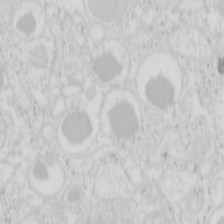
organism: Mouse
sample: Pancreas